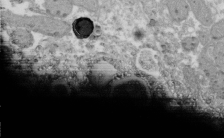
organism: Xenopus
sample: Cilia; centrioles in frog embryo cells